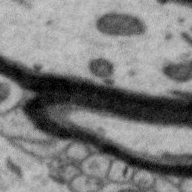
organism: Zebra finch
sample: Brain